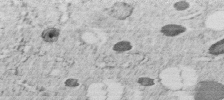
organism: C. elegans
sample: C. elegans embryo early stage